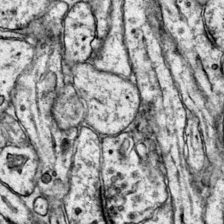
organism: Mouse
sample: Primary visual cortex